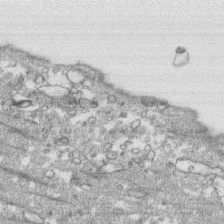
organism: Human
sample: CRL-1474